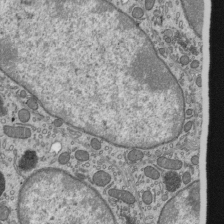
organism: Mouse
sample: Mouse epididymis efferent ductule cilia